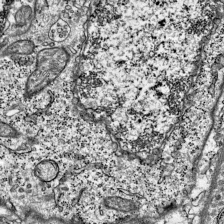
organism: Mouse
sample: Visual Cortex